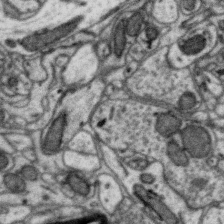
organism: Zebra finch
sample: Brain